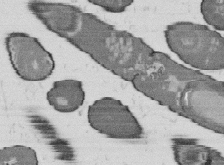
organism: B. subtilis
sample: Bacterial spore